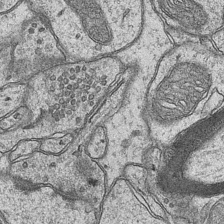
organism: Mouse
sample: CA1 Hippocampus